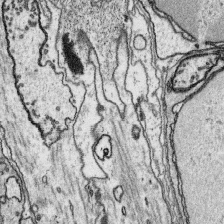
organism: Platynereis dumerilii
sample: Parapodia